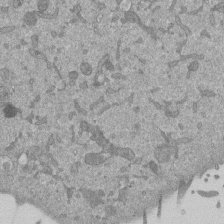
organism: Mouse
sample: ED-1 cell nuclei; centrioles